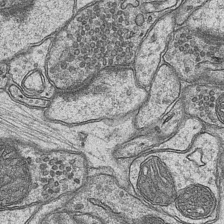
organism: Mouse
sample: CA1 Hippocampus